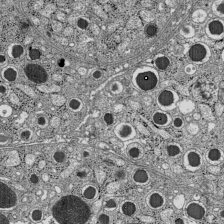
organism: C57BL Mouse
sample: Pancreatic islet